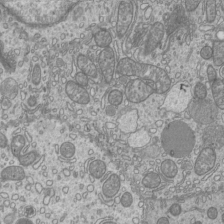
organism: Mouse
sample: Cilia; mouse epididymis